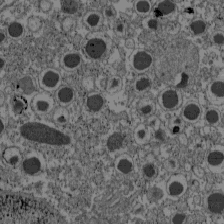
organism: C57BL Mouse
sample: Pancreatic islet